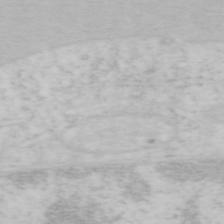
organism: Mouse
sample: OT-I killer T cells with ID8 ovarian cancer cells